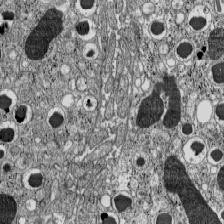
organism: C57BL Mouse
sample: Pancreatic islet